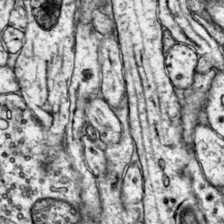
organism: Mouse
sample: Primary visual cortex